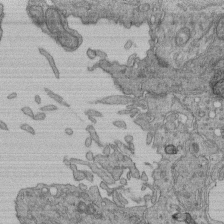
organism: Human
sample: Retinal organoid Rod and Cone cells